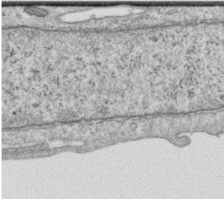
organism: Human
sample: Centriole in RPE cells